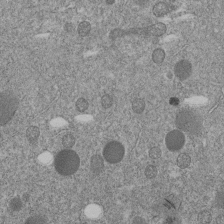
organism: C. elegans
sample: C. elegans embryo early stage